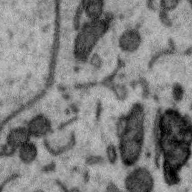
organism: Zebra finch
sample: Brain